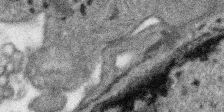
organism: Human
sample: Lung epithelial cells infected with SARS-CoV-2